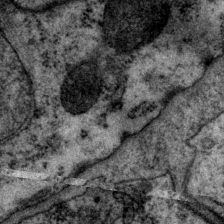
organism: P. pacificus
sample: Pharynx